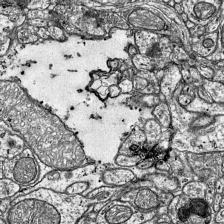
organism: Mouse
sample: Visual Cortex